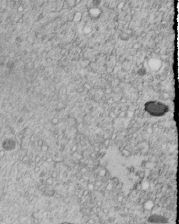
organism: C. elegans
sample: C. elegans embryo early stage